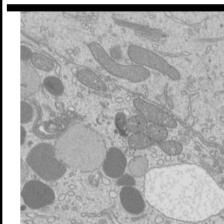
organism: Mouse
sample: Cilia; mouse epididymis